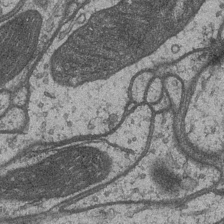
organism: Drosophila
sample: Optic medulla